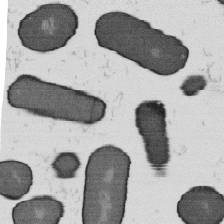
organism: B. subtilis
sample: Bacterial spore